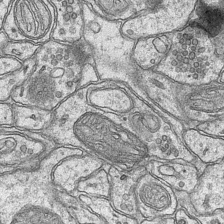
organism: Mouse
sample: CA1 Hippocampus